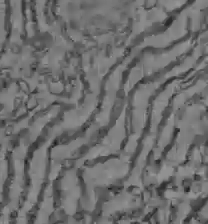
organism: C57BL Mouse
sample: Liver